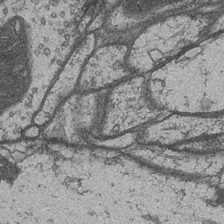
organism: Drosophila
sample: Optic medulla